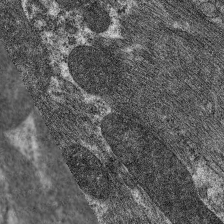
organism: C. elegans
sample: Pharynx